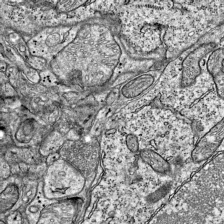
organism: Mouse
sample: Visual Cortex